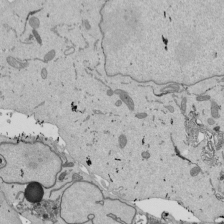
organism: Mouse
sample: ED-1 cell nuclei; centrioles